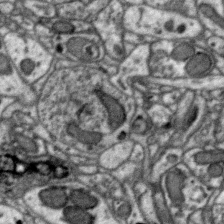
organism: Zebra finch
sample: Brain